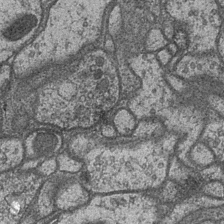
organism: Drosophila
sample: Optic medulla